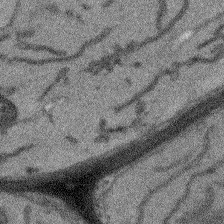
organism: Arabidopsis thaliana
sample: Root tip